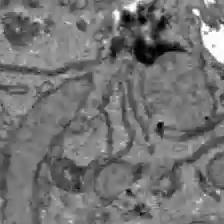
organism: C57BL Mouse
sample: Liver